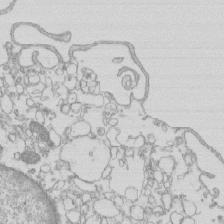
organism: Mouse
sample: Macrophages